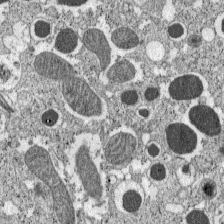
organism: C57BL Mouse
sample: Pancreatic islet